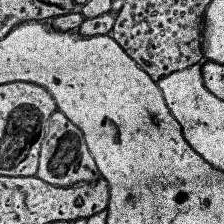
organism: Human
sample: Temporal Lobe